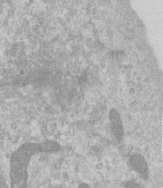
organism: Human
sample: Centriole in RPE cells